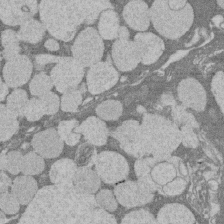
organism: Rat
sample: Salivary granule